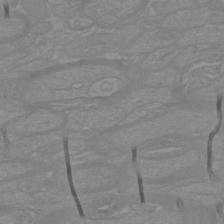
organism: Mouse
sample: Cortical neurons